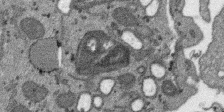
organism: Human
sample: Lung epithelial cells infected with SARS-CoV-2